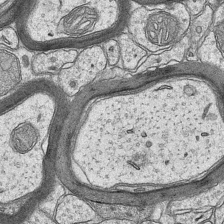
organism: Mouse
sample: CA1 Hippocampus